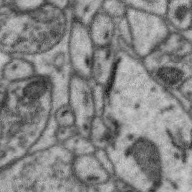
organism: Zebra finch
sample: Brain